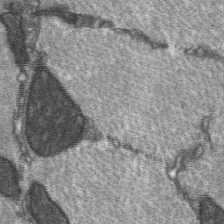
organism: C57BL Mouse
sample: Soleus